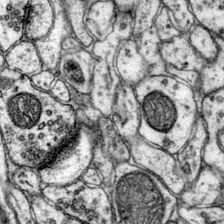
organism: Mouse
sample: Primary visual cortex